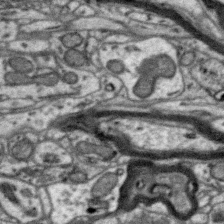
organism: Zebra finch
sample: Brain